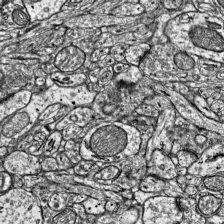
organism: Mouse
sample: Visual Cortex